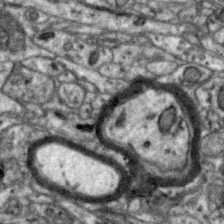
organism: Zebra finch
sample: Brain